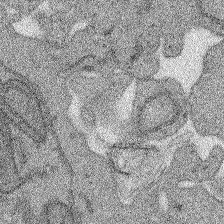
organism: Human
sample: HeLa cells